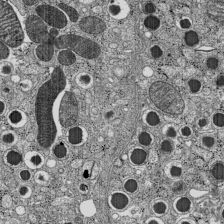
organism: C57BL Mouse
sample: Pancreatic islet